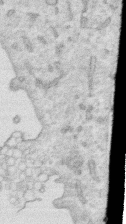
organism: Human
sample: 1205lu cells